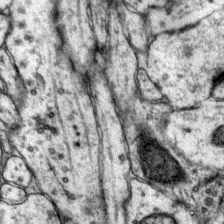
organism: Mouse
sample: Primary visual cortex